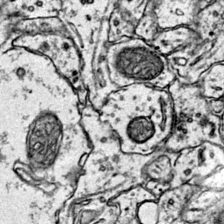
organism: Mouse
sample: Primary visual cortex